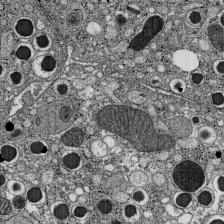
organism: C57BL Mouse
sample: Pancreatic islet